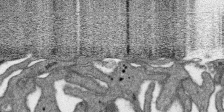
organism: Human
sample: Lung epithelial cells, uninfected (mock) control